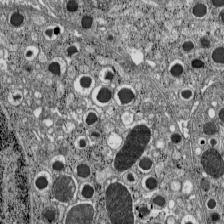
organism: C57BL Mouse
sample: Pancreatic islet